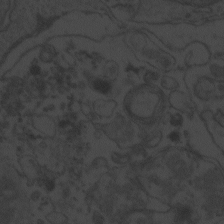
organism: Zebrafish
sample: Macrophage infected with Toxoplasma gondii